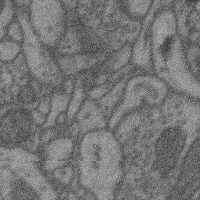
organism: Mouse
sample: Cerebral cortex